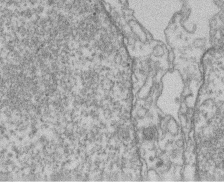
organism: Mouse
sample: T cell stromal cell synapse